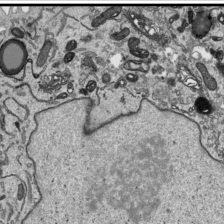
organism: Human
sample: Mitochondria in HCT116 cells